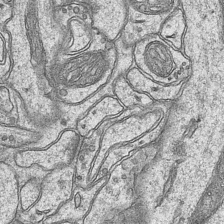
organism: Mouse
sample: CA1 Hippocampus